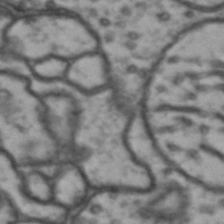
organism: Drosophila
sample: Brain